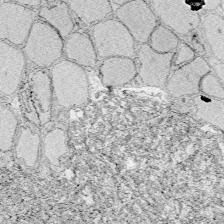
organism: Zebrafish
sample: Whole-Brain